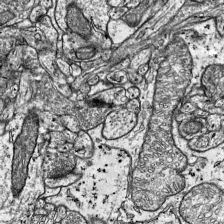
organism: Mouse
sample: Visual Cortex